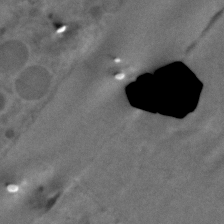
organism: C. elegans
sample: C. elegans embryo